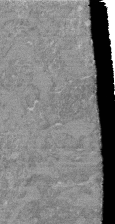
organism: Mouse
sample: Glomerulus